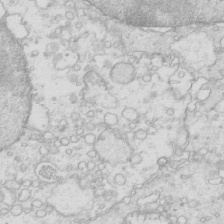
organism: Mouse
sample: Multiciliated cells